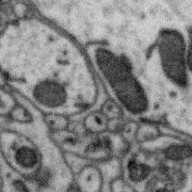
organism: Zebra finch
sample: Brain